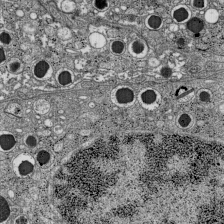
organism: C57BL Mouse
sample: Pancreatic islet